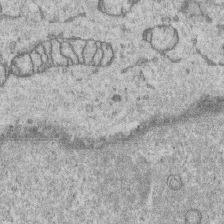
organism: Human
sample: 1205lu cells